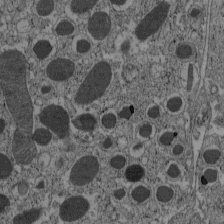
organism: C57BL Mouse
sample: Pancreatic islet